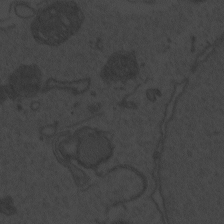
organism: Zebrafish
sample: Macrophage infected with Toxoplasma gondii